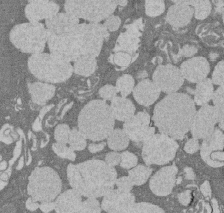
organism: Rat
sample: Salivary granule